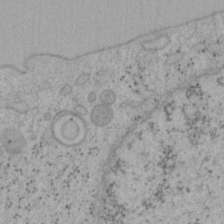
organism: Human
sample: HeLa cells